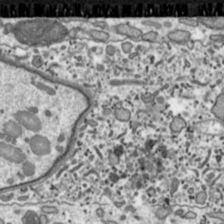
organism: Toxoplasma gondii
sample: Parasites in a vacuole inside a host cell